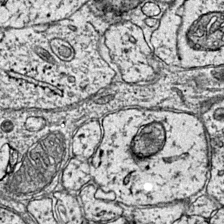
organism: Mouse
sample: Primary visual cortex